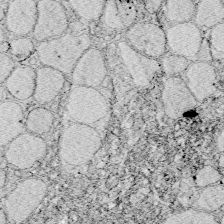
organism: Zebrafish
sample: Whole-Brain